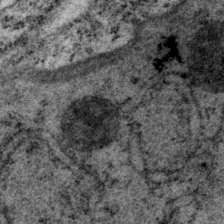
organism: P. pacificus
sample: Pharynx